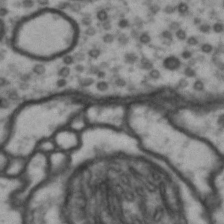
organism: Drosophila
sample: Brain